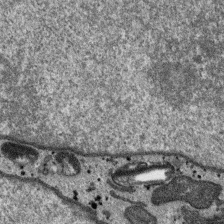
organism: Human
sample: Lung epithelial cells, uninfected (mock) control